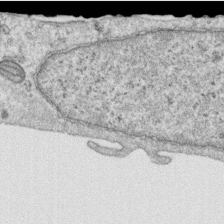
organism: Human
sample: Centriole in RPE cells